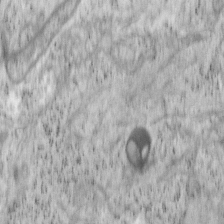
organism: Human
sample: HeLa cells